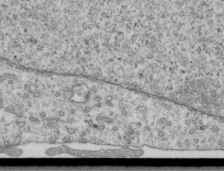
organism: Human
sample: Centriole in RPE cells